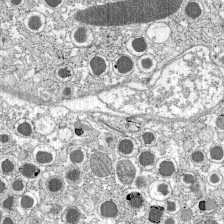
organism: C57BL Mouse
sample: Pancreatic islet